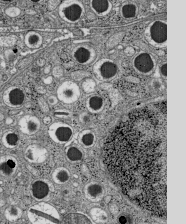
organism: C57BL Mouse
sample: Pancreatic islet